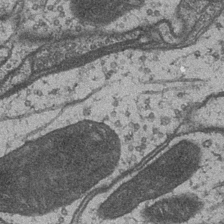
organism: Drosophila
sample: Optic medulla